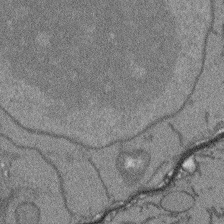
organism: Arabidopsis thaliana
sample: Root tip